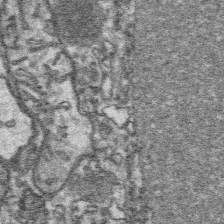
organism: Platynereis dumerilii